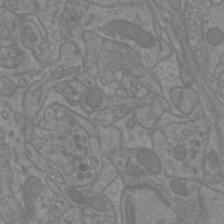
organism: Mouse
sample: Cortical neurons